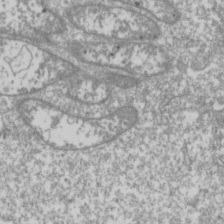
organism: Drosophila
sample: Cell division; meiosis; drosophila spermatocytes